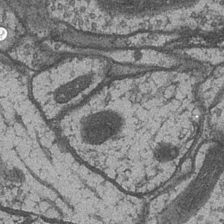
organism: Drosophila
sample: Optic medulla